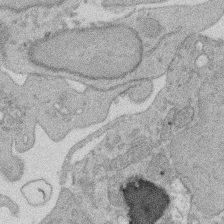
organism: Rat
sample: Salivary granule